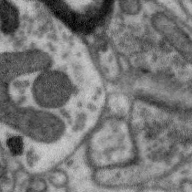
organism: Zebra finch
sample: Brain